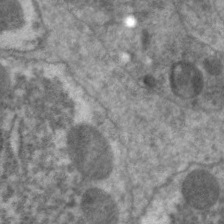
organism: C. elegans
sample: Pharynx